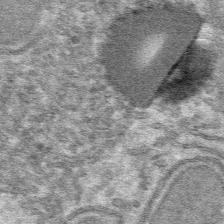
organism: Mouse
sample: Mouse hepatocytes